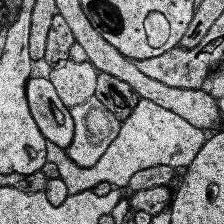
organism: Human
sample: Temporal Lobe